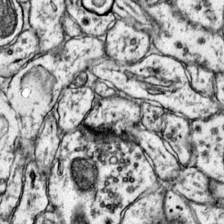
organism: Mouse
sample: Primary visual cortex